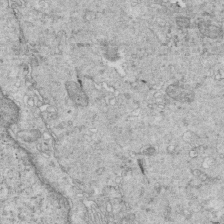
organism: Mouse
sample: Multiciliated cells